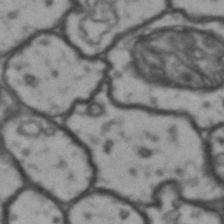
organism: Drosophila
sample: Brain